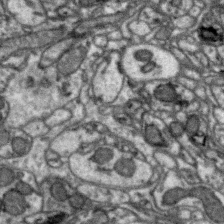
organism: Zebra finch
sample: Brain